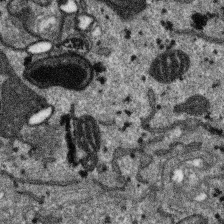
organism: Human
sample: Lung epithelial cells infected with SARS-CoV-2